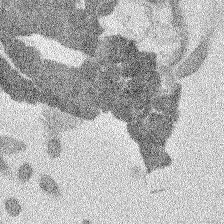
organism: Human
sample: HeLa cells